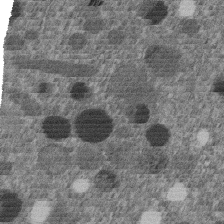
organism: C. elegans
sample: C. elegans embryo early stage